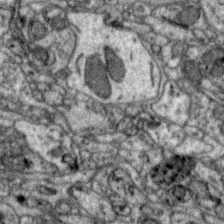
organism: Zebra finch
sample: Brain